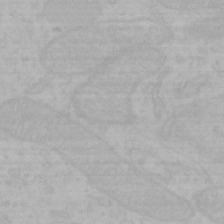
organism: Mouse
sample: Choroid plexus